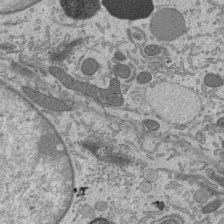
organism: Mouse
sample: Mouse epididymis efferent ductule cilia